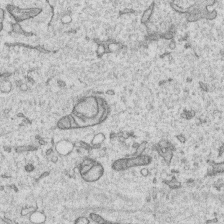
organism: Human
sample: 1205lu cells